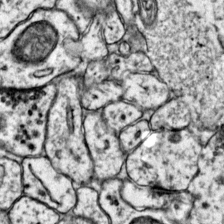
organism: Mouse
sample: Primary visual cortex